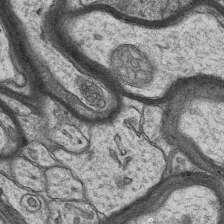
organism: Mouse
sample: CA1 Hippocampus